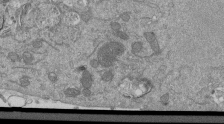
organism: Mouse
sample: ED-1 cell nuclei; centrioles